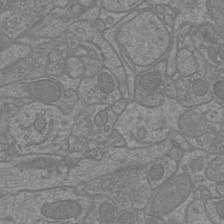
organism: Mouse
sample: Cortical neurons